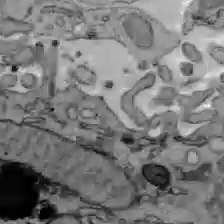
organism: C57BL Mouse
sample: Liver